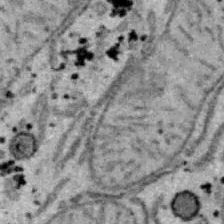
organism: Mouse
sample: Liver from an obese (ob/ob) mouse